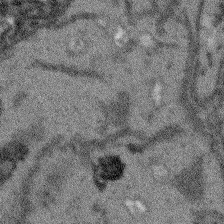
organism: Arabidopsis thaliana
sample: Root tip